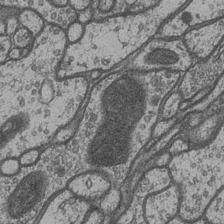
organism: Drosophila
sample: Optic medulla